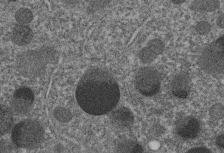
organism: C. elegans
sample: C. elegans embryo early stage